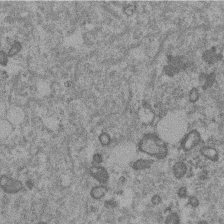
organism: Mouse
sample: Dividing mouse embryo 1 cell stage